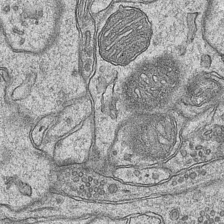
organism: Mouse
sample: CA1 Hippocampus